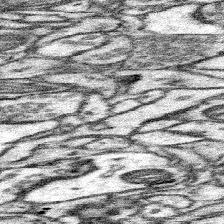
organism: Mouse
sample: Somatosensory cortex neuropil